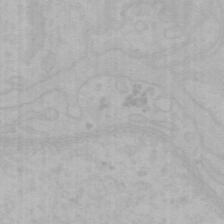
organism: Mouse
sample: Choroid plexus